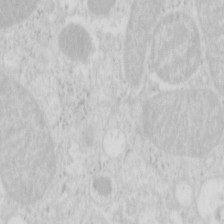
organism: Mouse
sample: Pancreas